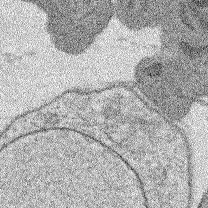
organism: Human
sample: HeLa cells